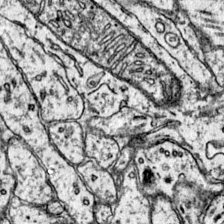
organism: Mouse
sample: Primary visual cortex